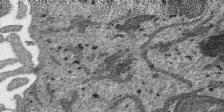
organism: Human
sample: Lung epithelial cells infected with SARS-CoV-2